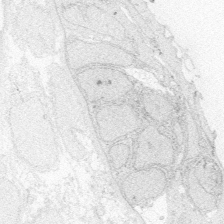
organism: Zebrafish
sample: Whole-Brain